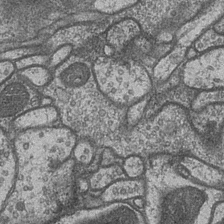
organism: Drosophila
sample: Optic medulla